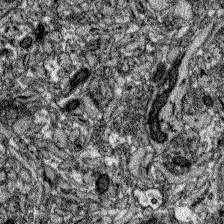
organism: Zebrafish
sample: Larval olfactory bulb